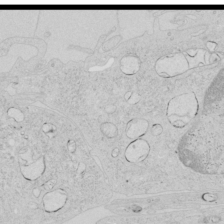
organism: Human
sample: Mitochondria in HCT116 cells